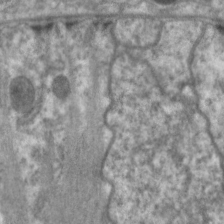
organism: C. elegans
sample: Pharynx